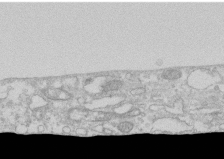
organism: Human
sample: CRL-1474